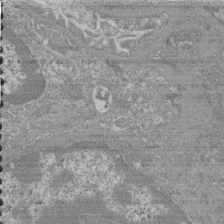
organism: Mouse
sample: Glomerulus